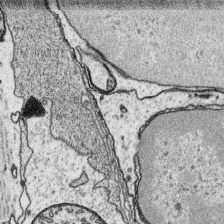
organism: Platynereis dumerilii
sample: Parapodia